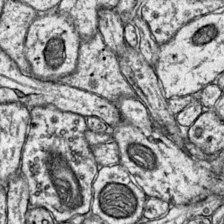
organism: Mouse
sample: Primary visual cortex